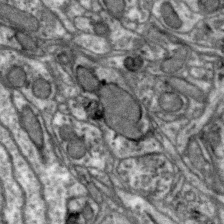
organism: Zebra finch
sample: Brain